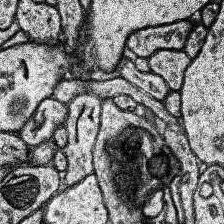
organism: Human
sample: Temporal Lobe